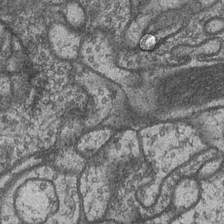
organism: Drosophila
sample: Optic medulla